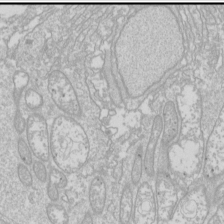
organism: Drosophila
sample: Cell division; meiosis; drosophila spermatocytes